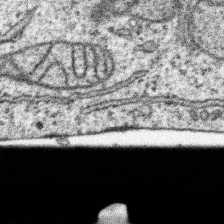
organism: Human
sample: HeLa cells